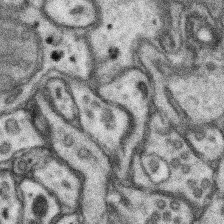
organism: Mouse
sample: Somatosensory cortex neuropil